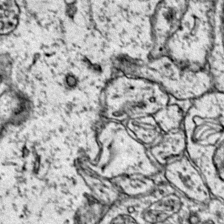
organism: Mouse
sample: Primary visual cortex